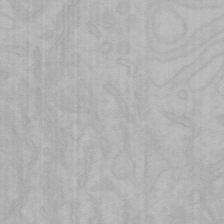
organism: Mouse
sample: Choroid plexus